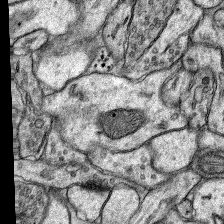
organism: Rat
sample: Hippocampus